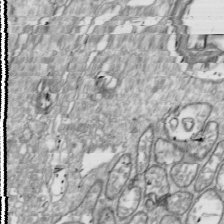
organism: Drosophila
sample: Cell division; meiosis; drosophila spermatocytes